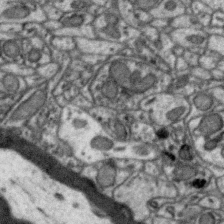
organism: Zebra finch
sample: Brain